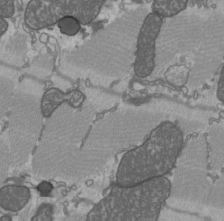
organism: C57BL Mouse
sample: Heart